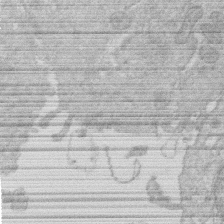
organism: Human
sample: Macrophage cells